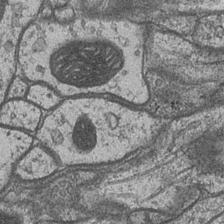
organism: Drosophila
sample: Optic medulla